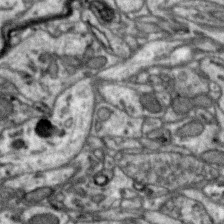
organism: Zebra finch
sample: Brain